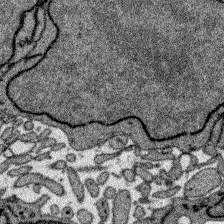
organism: Zebrafish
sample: Larval olfactory bulb